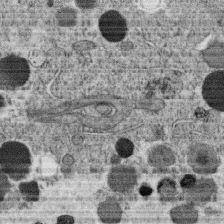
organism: C. elegans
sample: C. elegans oocyte; sperm cells